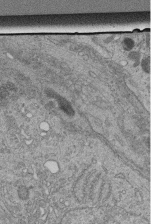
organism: Human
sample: Retinal organoid Rod and Cone cells